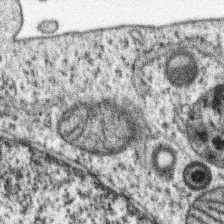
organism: Human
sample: HeLa cells